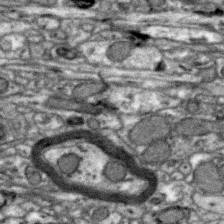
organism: Zebra finch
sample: Brain